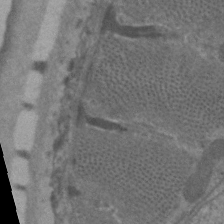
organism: C. elegans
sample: Pharynx